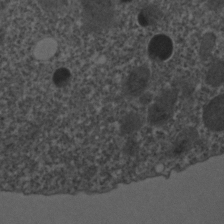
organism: C. elegans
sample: C. elegans embryo